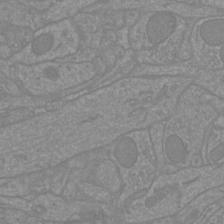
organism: Mouse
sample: Cortical neurons